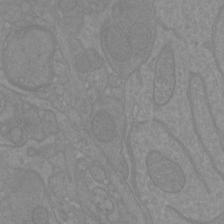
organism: Mouse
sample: Cortical neurons